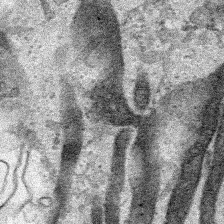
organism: Human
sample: Mitochondria in HCT116 cells